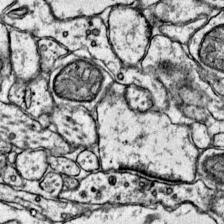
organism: Mouse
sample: Primary visual cortex